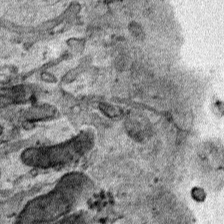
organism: Human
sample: Mitochondria in HCT116 cells